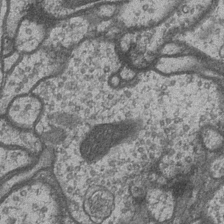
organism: Drosophila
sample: Optic medulla